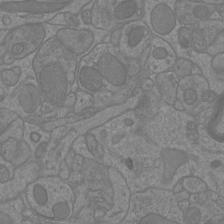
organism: Mouse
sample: Cortical neurons